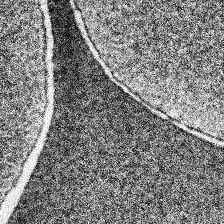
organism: Human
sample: Temporal Lobe